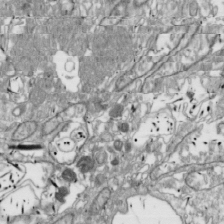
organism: Drosophila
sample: Cell division; meiosis; drosophila spermatocytes